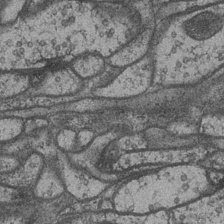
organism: Drosophila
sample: Optic medulla